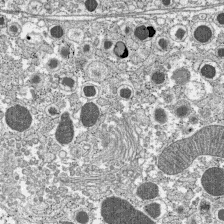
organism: C57BL Mouse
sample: Pancreatic islet